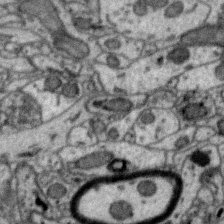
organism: Zebra finch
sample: Brain